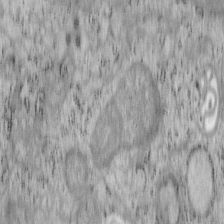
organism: Human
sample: HeLa cells